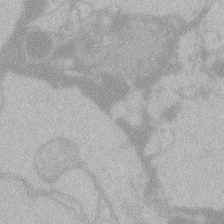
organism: Zebrafish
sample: Macrophage infected with Toxoplasma gondii